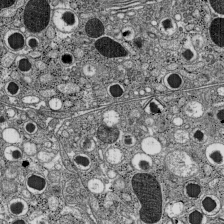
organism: C57BL Mouse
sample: Pancreatic islet